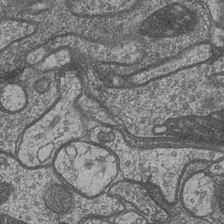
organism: Drosophila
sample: Optic medulla